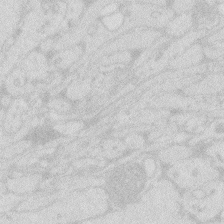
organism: Zebrafish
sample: Macrophage